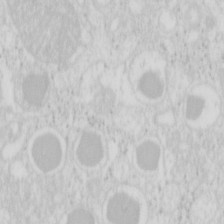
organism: Mouse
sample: Pancreas